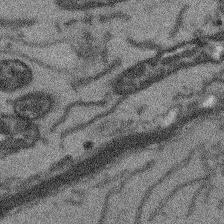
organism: Arabidopsis thaliana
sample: Root tip